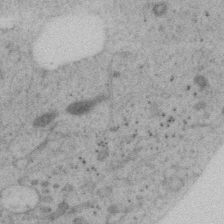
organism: Human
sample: HeLa cells